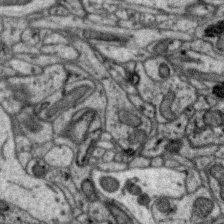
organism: Zebra finch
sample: Brain